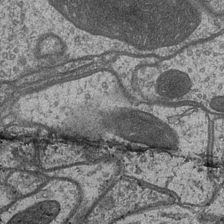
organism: Drosophila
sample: Optic medulla